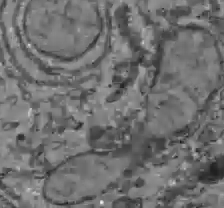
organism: C57BL Mouse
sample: Liver